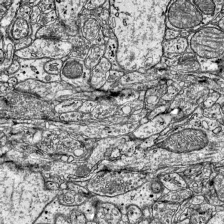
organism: Mouse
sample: Visual Cortex